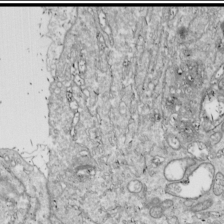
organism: Drosophila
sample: Cell division; meiosis; drosophila spermatocytes